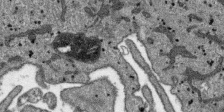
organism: Human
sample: Lung epithelial cells, uninfected (mock) control